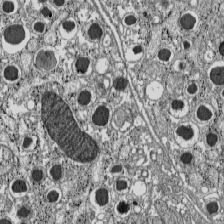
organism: C57BL Mouse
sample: Pancreatic islet